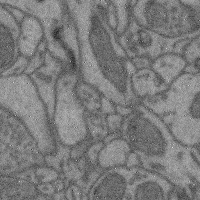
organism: Mouse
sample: Cerebral cortex